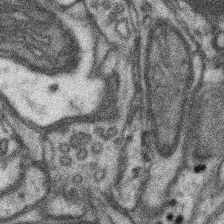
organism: Mouse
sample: Somatosensory cortex neuropil